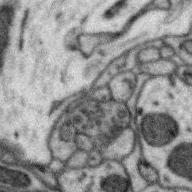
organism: Zebra finch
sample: Brain